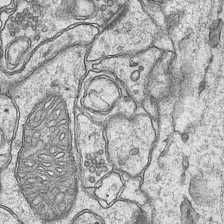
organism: Mouse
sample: CA1 Hippocampus